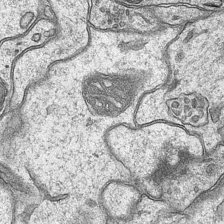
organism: Mouse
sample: CA1 Hippocampus